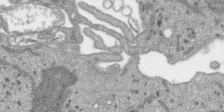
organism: Human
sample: Lung epithelial cells infected with SARS-CoV-2